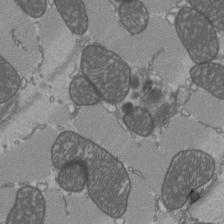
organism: C57BL Mouse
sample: Heart